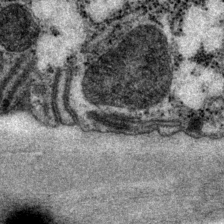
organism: P. pacificus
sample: Pharynx